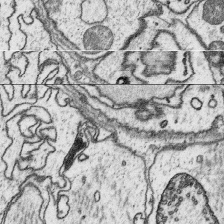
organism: Platynereis dumerilii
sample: Parapodia